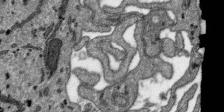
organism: Human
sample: Lung epithelial cells, uninfected (mock) control